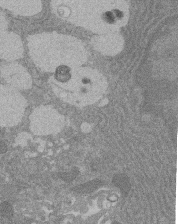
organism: Rat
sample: Salivary granule